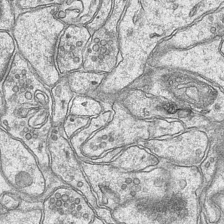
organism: Mouse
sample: CA1 Hippocampus